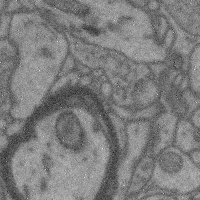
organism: Mouse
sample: Cerebral cortex